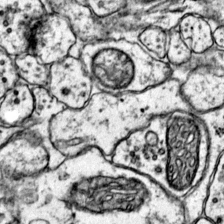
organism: Mouse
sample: Primary visual cortex